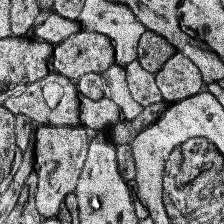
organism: Human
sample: Temporal Lobe